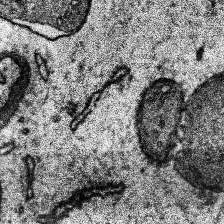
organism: Human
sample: Temporal Lobe